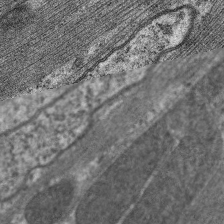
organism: C. elegans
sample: Pharynx